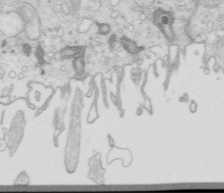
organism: Mouse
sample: Multiciliated cells